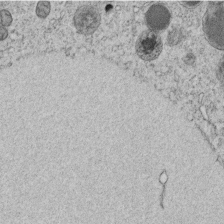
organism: C. elegans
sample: C. elegans embryo early stage